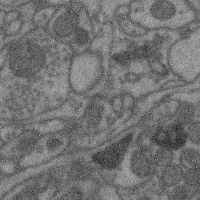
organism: Mouse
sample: Cerebral cortex